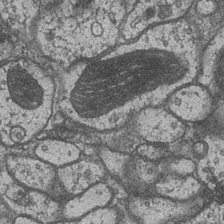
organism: Drosophila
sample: Optic medulla